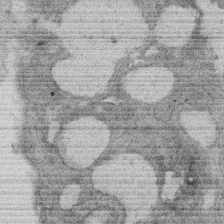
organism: Rat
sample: Salivary granule